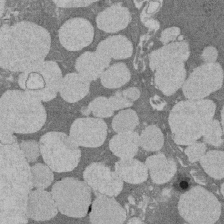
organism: Rat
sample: Salivary granule